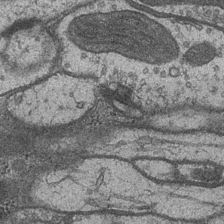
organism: Drosophila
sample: Optic medulla